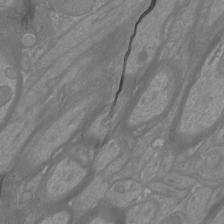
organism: Mouse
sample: Cortical neurons